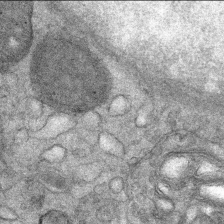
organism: Mouse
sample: Mouse Salivary gland